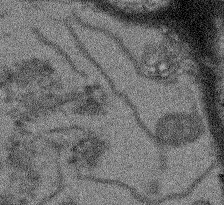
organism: Arabidopsis thaliana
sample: Root tip